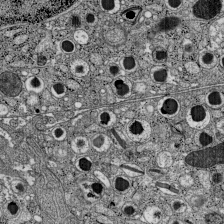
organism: C57BL Mouse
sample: Pancreatic islet